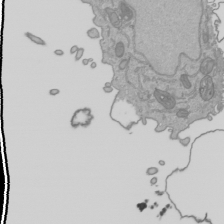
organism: Human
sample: Mitochondria in HCT116 cells